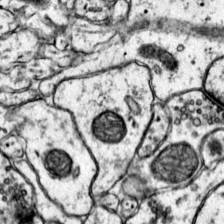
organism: Mouse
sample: Primary visual cortex